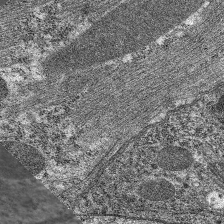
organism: C. elegans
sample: Pharynx